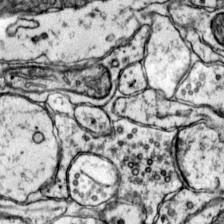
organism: Mouse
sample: Primary visual cortex